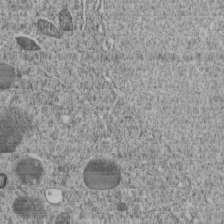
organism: C. elegans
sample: C. elegans embryo early stage